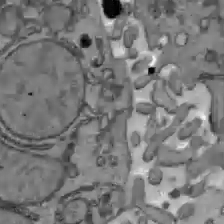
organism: C57BL Mouse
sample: Liver